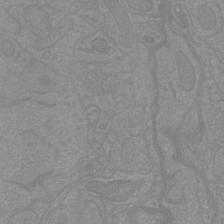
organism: Mouse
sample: Cortical neurons